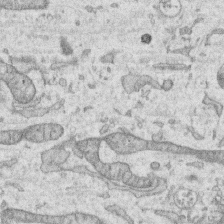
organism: Human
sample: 1205lu cells